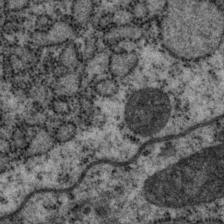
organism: P. pacificus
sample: Pharynx